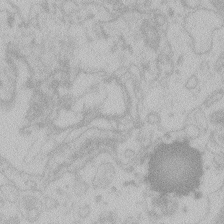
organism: Zebrafish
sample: Macrophage infected with Toxoplasma gondii